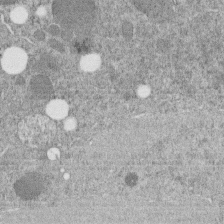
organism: C. elegans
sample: C. elegans embryo early stage